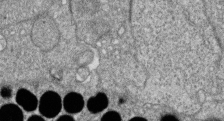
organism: Zebrafish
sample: Cilia; retinal pigment epithelium